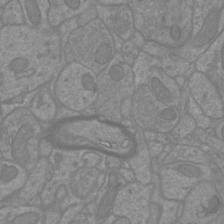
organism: Mouse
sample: Cortical neurons